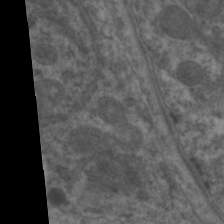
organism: C. elegans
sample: Pharynx